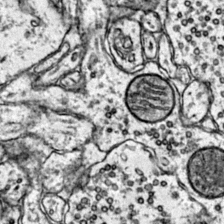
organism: Mouse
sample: Primary visual cortex